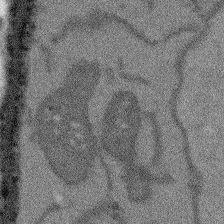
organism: Arabidopsis thaliana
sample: Root tip